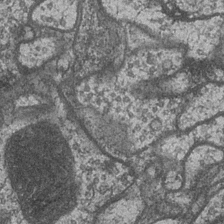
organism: Drosophila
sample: Optic medulla